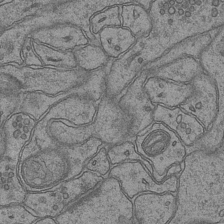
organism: Mouse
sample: CA1 Hippocampus